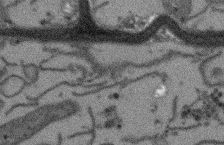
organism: Arabidopsis thaliana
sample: Root tip